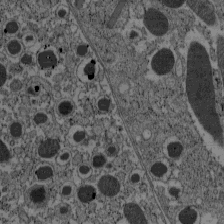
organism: C57BL Mouse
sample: Pancreatic islet